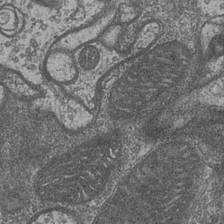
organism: Drosophila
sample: Optic medulla